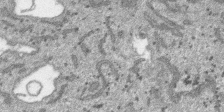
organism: Human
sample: Lung epithelial cells infected with SARS-CoV-2